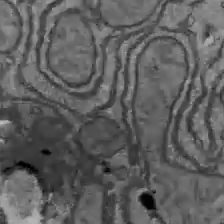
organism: C57BL Mouse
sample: Liver